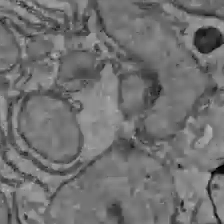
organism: C57BL Mouse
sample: Liver